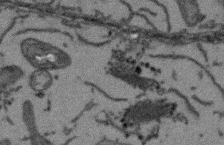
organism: Arabidopsis thaliana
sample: Root tip